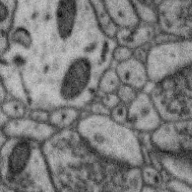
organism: Zebra finch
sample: Brain